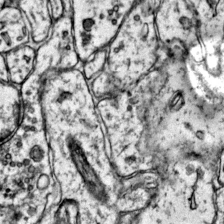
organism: Mouse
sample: Primary visual cortex